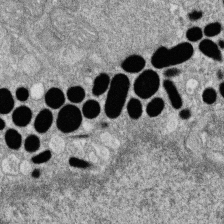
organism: Zebrafish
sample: Cilia; retinal pigment epithelium